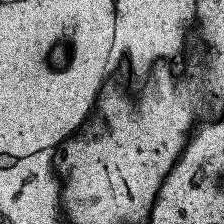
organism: Human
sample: Temporal Lobe